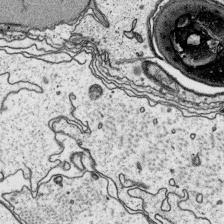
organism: Platynereis dumerilii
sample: Parapodia